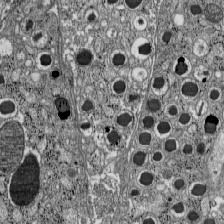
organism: C57BL Mouse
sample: Pancreatic islet